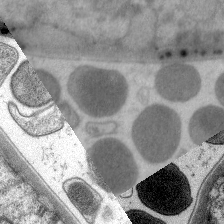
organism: C. elegans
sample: Pharynx